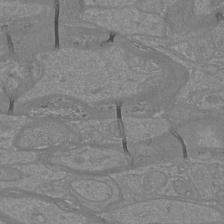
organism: Mouse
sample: Cortical neurons